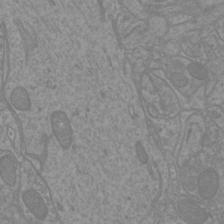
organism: Mouse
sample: Cortical neurons